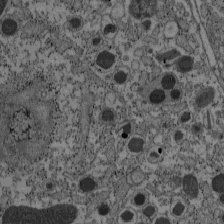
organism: C57BL Mouse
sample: Pancreatic islet